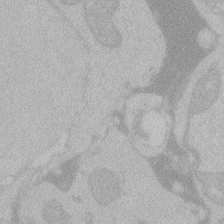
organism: Zebrafish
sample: Macrophage infected with Toxoplasma gondii